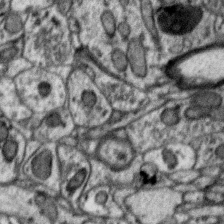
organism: Zebra finch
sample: Brain